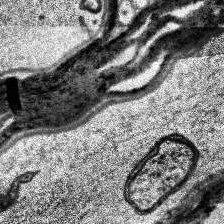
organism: Human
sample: Temporal Lobe